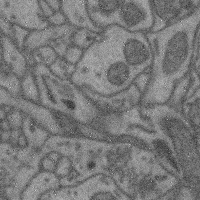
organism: Mouse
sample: Cerebral cortex